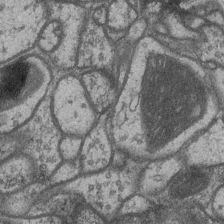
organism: Drosophila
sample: Optic medulla